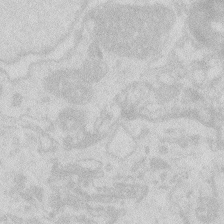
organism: Zebrafish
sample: Macrophage